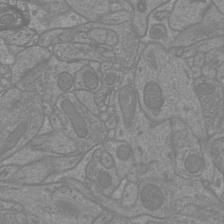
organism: Mouse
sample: Cortical neurons